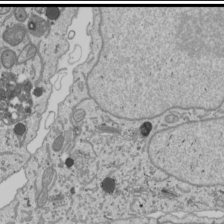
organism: Human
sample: Mitochondria in U2OS cells